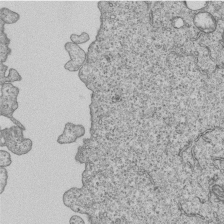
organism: Human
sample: MDA-MB-231 cells